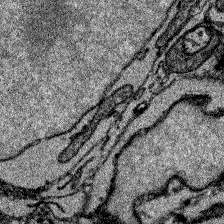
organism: Zebrafish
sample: Larval olfactory bulb